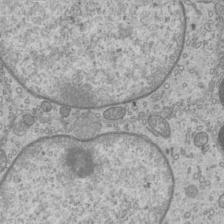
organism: Mouse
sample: Cilia; mouse epididymis